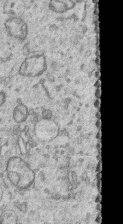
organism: Human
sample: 1205lu cells